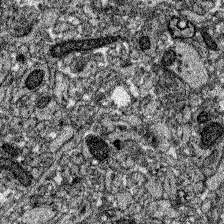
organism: Zebrafish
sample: Larval olfactory bulb